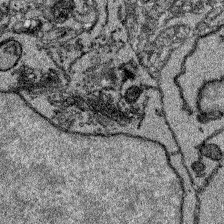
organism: Zebrafish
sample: Larval olfactory bulb